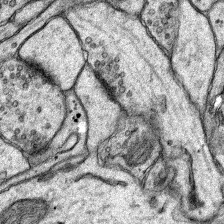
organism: Rat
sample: Hippocampus